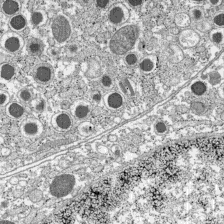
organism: C57BL Mouse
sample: Pancreatic islet